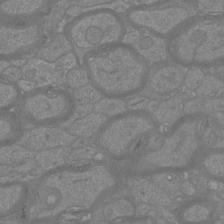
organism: Mouse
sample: Cortical neurons